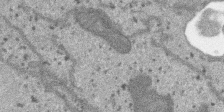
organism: Human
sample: Lung epithelial cells infected with SARS-CoV-2